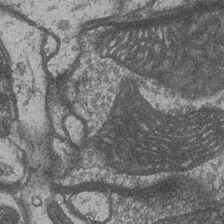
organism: Drosophila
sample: Optic medulla